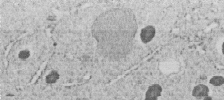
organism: C. elegans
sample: C. elegans embryo early stage